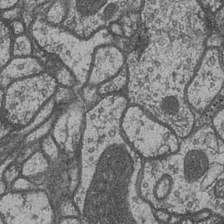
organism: Drosophila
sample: Optic medulla